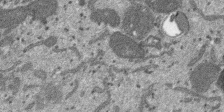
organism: Human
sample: Lung epithelial cells infected with SARS-CoV-2